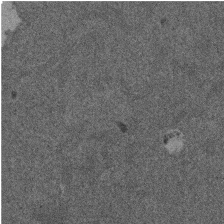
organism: Mouse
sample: Dividing mouse embryo 1 cell stage